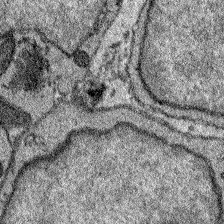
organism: Zebrafish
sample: Larval olfactory bulb